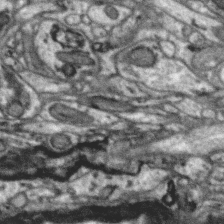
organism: Zebra finch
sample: Brain